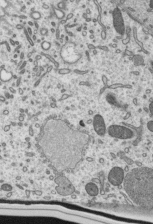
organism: Mouse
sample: Mouse epididymis efferent ductule cilia